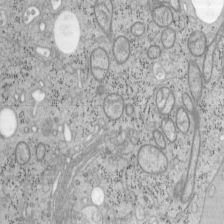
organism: Mouse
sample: OT-I killer T cells with ID8 ovarian cancer cells